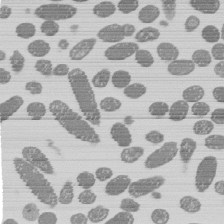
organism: E. coli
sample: Bacterial nucleoid